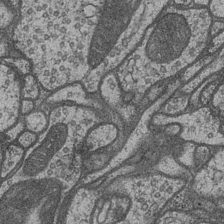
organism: Drosophila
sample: Optic medulla